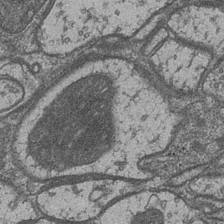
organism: Drosophila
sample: Optic medulla